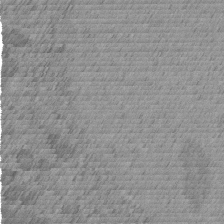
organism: C. elegans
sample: C. elegans embryo early stage